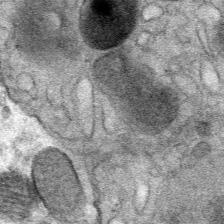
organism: Mouse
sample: Mouse Salivary gland